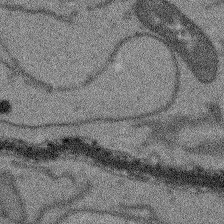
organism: Arabidopsis thaliana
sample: Root tip